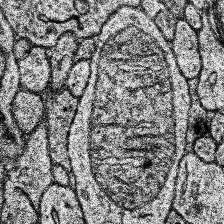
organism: Human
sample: Temporal Lobe